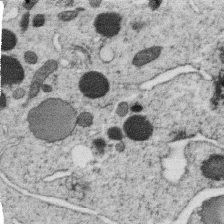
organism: C. elegans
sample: C. elegans oocyte; sperm cells